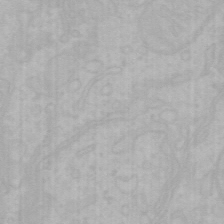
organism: Mouse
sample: Choroid plexus